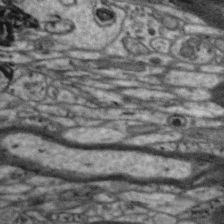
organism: Zebra finch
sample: Brain